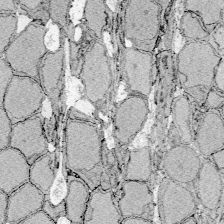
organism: Zebrafish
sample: Whole-Brain